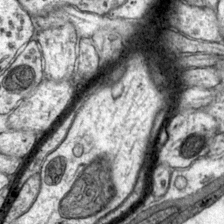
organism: Mouse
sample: Primary visual cortex